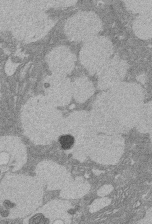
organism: Rat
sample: Salivary granule